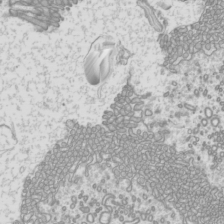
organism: Mouse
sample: Cilia; mouse epididymis